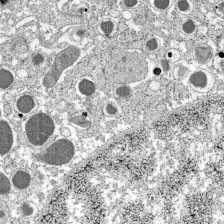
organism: C57BL Mouse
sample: Pancreatic islet